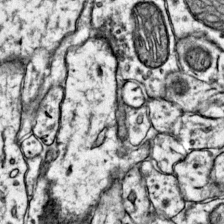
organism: Mouse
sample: Primary visual cortex